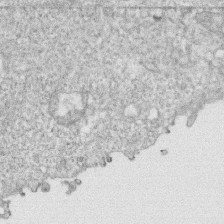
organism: Human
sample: HeLa cell HIV synapse